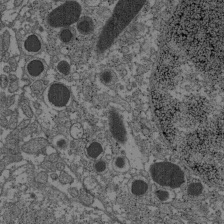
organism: C57BL Mouse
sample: Pancreatic islet